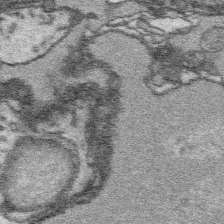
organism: Platynereis dumerilii